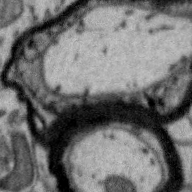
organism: Zebra finch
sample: Brain